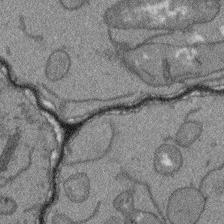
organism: Arabidopsis thaliana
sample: Root tip